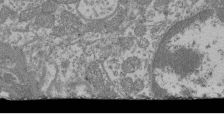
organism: Mouse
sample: Glomerulus